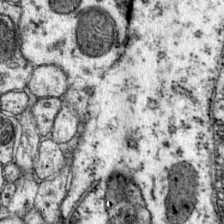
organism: Mouse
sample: Primary visual cortex